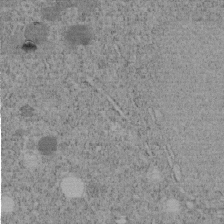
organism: C. elegans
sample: C. elegans embryo early stage